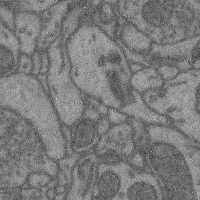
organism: Mouse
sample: Cerebral cortex